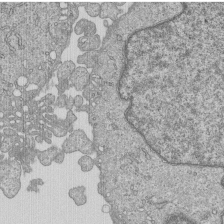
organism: Human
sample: MDA-MB-231 cells